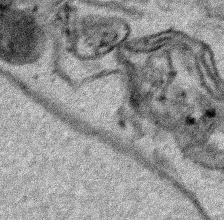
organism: Human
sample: Mitochondria in HCT116 cells